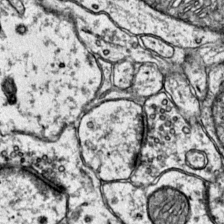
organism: Mouse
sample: Primary visual cortex